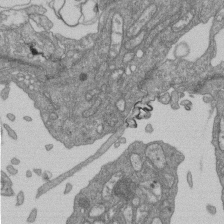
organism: Human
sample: Retinal organoid Rod and Cone cells